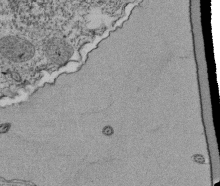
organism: Tetrahymena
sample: Cilia in tetrahymena